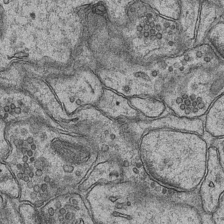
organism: Mouse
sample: CA1 Hippocampus